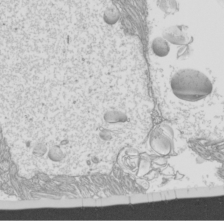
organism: Mouse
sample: Cilia; mouse epididymis